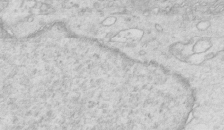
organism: Mouse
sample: Multiciliated cells